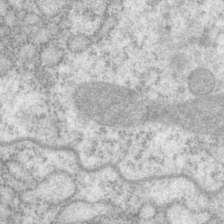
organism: P. pacificus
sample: Pharynx